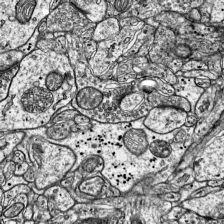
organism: Mouse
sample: Visual Cortex